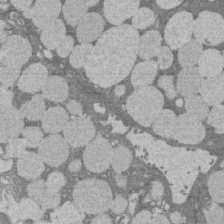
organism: Rat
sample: Salivary granule